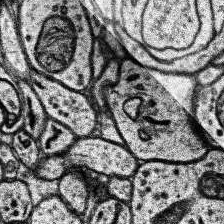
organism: Human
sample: Temporal Lobe